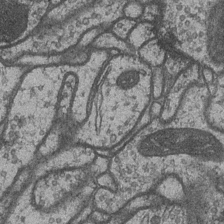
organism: Drosophila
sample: Optic medulla